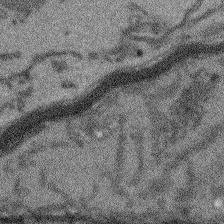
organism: Arabidopsis thaliana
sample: Root tip